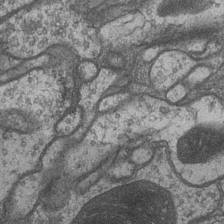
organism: Drosophila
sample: Optic medulla